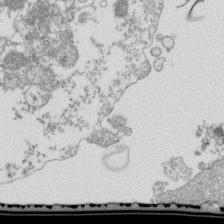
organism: Human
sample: HeLa cell HIV synapse